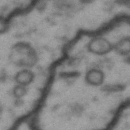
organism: Drosophila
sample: Brain